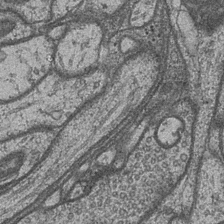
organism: Drosophila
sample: Optic medulla